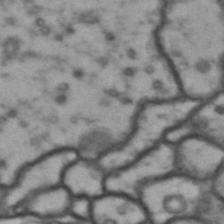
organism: Drosophila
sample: Brain